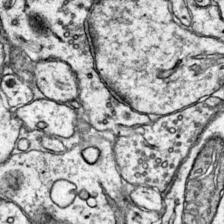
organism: Mouse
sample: Primary visual cortex